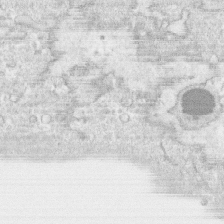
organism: Human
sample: CRL-1474